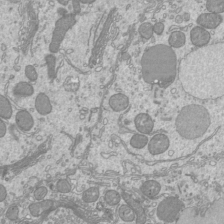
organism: Mouse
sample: Cilia; mouse epididymis